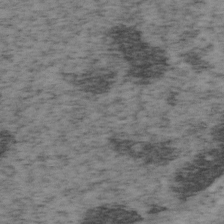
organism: Mouse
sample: OT-I killer T cells with ID8 ovarian cancer cells